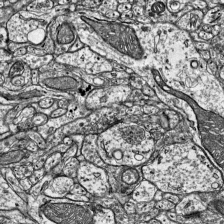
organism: Mouse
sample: Visual Cortex